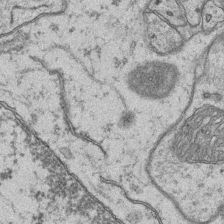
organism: Mouse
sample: CA1 Hippocampus